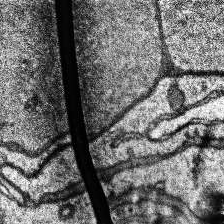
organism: Human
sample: Temporal Lobe